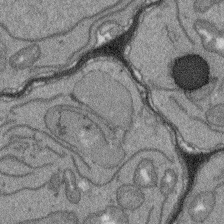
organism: Arabidopsis thaliana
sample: Root tip